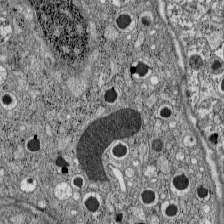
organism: C57BL Mouse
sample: Pancreatic islet